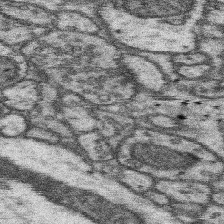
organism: Mouse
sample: Somatosensory cortex neuropil